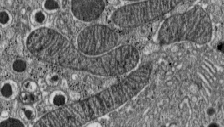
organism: C57BL Mouse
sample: Pancreatic islet